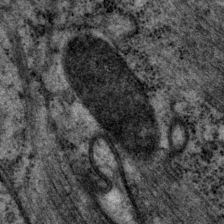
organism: P. pacificus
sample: Pharynx